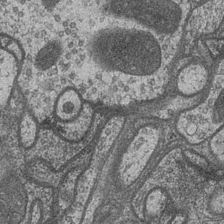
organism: Drosophila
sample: Optic medulla